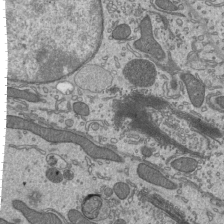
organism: Mouse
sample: Mouse epididymis efferent ductule cilia